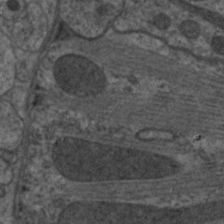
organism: C. elegans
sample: Pharynx